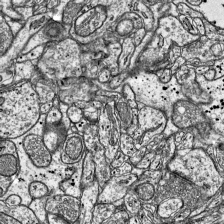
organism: Mouse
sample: Visual Cortex